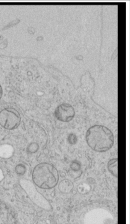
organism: Human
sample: Mitochondria in HCT116 cells